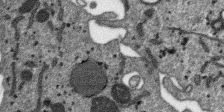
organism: Human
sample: Lung epithelial cells infected with SARS-CoV-2